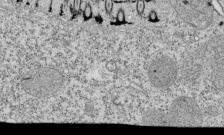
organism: Tetrahymena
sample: Cilia in tetrahymena